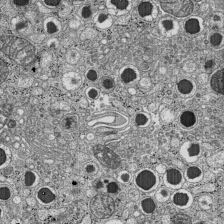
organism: C57BL Mouse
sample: Pancreatic islet